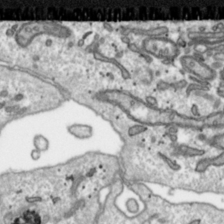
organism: Toxoplasma gondii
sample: Parasites in a vacuole inside a host cell